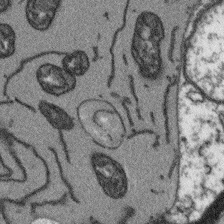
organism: Arabidopsis thaliana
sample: Root tip